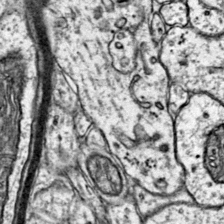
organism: Mouse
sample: Primary visual cortex